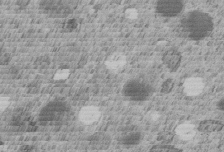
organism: C. elegans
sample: C. elegans embryo early stage